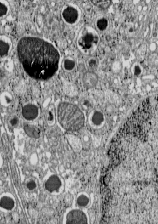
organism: C57BL Mouse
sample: Pancreatic islet